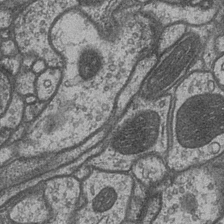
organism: Drosophila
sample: Optic medulla